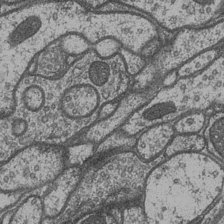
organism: Drosophila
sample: Optic medulla